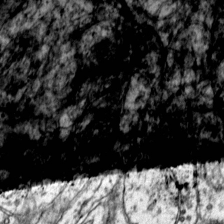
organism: Mouse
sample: Primary visual cortex